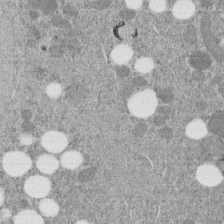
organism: C. elegans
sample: C. elegans embryo early stage